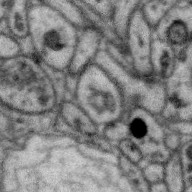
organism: Zebra finch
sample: Brain